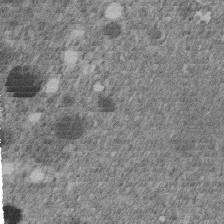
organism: C. elegans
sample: C. elegans embryo early stage